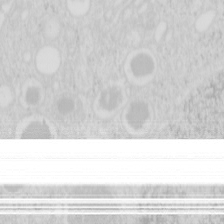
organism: Mouse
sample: Pancreas